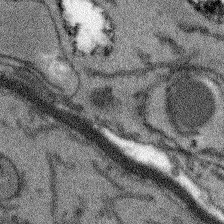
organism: Arabidopsis thaliana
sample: Root tip